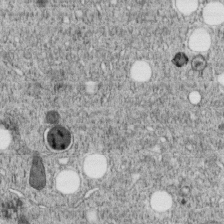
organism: C. elegans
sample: C. elegans embryo early stage